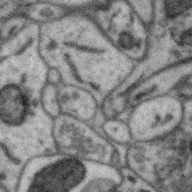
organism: Zebra finch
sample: Brain